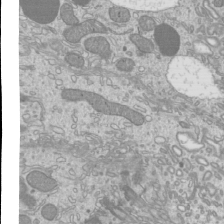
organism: Mouse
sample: Cilia; mouse epididymis